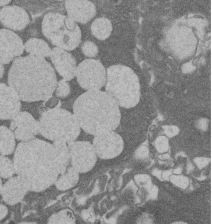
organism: Rat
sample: Salivary granule